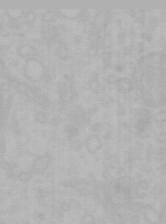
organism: Mouse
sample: Choroid plexus